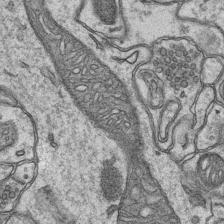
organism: Mouse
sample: CA1 Hippocampus